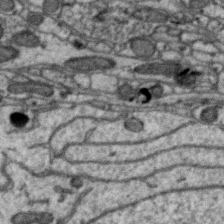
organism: Zebra finch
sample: Brain